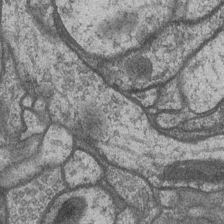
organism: Drosophila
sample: Optic medulla